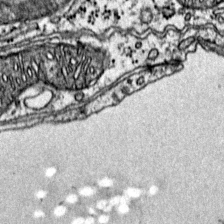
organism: Mouse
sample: Primary visual cortex